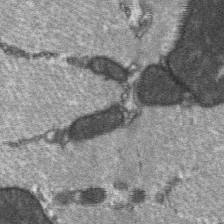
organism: C57BL Mouse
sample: Soleus